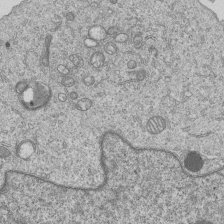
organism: Human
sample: MDA-MB-231 cells